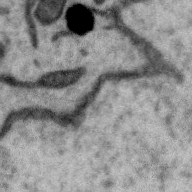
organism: Zebra finch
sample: Brain